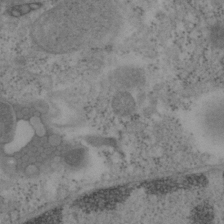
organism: Mouse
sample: OT-I killer T cells with ID8 ovarian cancer cells